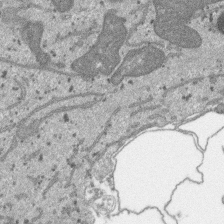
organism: Human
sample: Lung epithelial cells infected with SARS-CoV-2